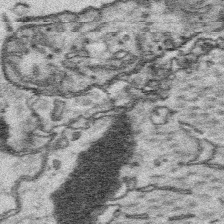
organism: Platynereis dumerilii